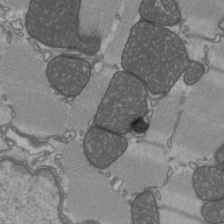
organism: C57BL Mouse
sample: Heart